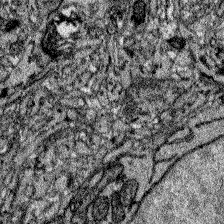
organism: Zebrafish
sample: Larval olfactory bulb